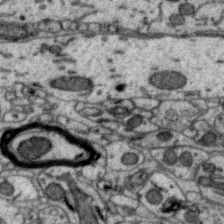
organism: Zebra finch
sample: Brain